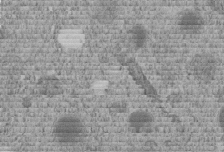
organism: C. elegans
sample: C. elegans embryo early stage